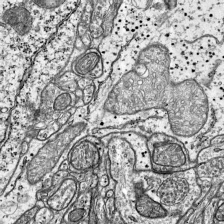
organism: Mouse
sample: Visual Cortex